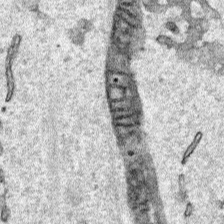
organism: Human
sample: Mitochondria in HCT116 cells